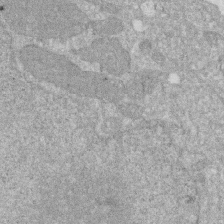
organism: Human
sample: HIV infected U937 cells